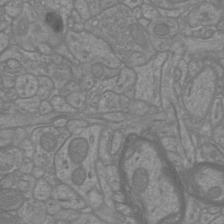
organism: Mouse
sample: Cortical neurons